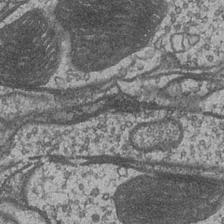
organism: Drosophila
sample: Optic medulla